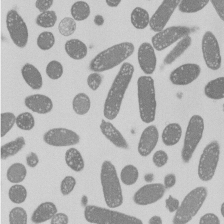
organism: E. coli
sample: Bacterial nucleoid